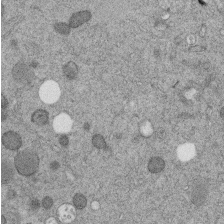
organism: C. elegans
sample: C. elegans embryo early stage